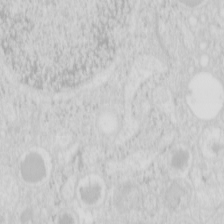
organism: Mouse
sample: Pancreas